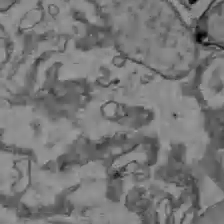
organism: C57BL Mouse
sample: Liver